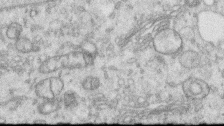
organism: Human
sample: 1205lu cells